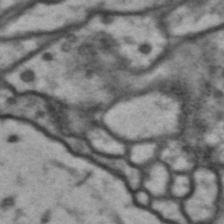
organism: Drosophila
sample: Brain